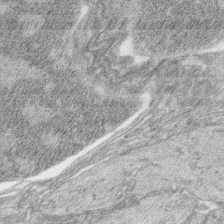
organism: Zebrafish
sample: synaptic ribbons in rod cells and cone cells